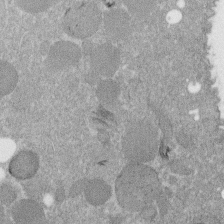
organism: C. elegans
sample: C. elegans embryo early stage